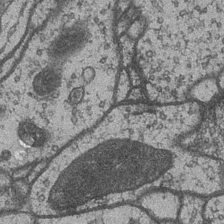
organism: Drosophila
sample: Optic medulla